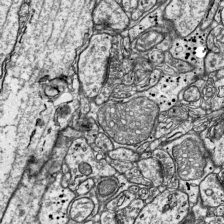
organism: Mouse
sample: Visual Cortex